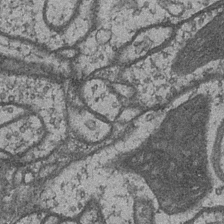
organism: Drosophila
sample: Optic medulla